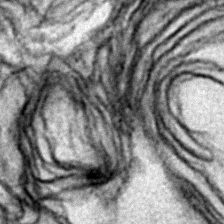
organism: Zebrafish